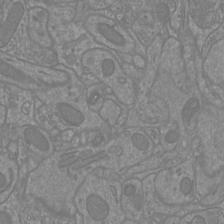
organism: Mouse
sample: Cortical neurons